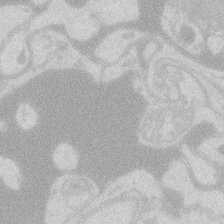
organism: Zebrafish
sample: Macrophage